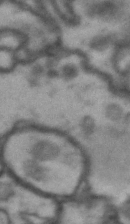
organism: Drosophila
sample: Brain